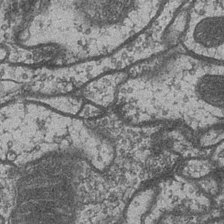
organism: Drosophila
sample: Optic medulla